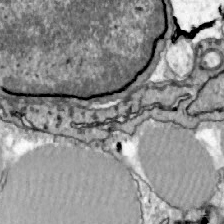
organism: Zebrafish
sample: Actinotrichia fibers